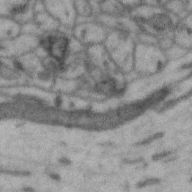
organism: Zebra finch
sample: Brain